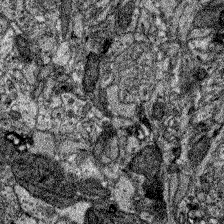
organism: Zebrafish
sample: Larval olfactory bulb